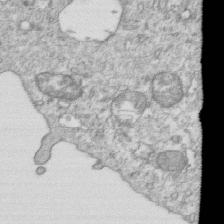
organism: Mouse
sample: Activated OT-1 CD8+ T cells